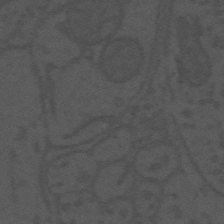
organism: Mouse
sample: Suprachiasmatic nucleus